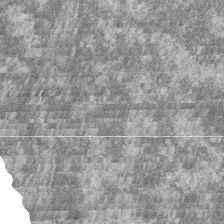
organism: Zebrafish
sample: Cilia; retinal pigment epithelium